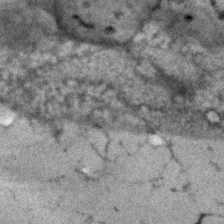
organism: Human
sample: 1205lu cells